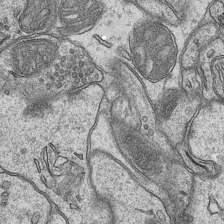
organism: Mouse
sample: CA1 Hippocampus